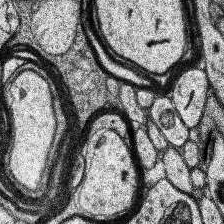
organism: Human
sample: Temporal Lobe